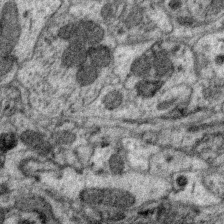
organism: Zebra finch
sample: Brain